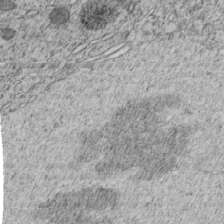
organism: C. elegans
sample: C. elegans embryo early stage